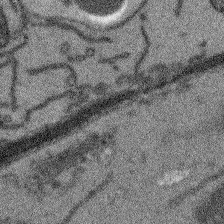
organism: Arabidopsis thaliana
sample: Root tip